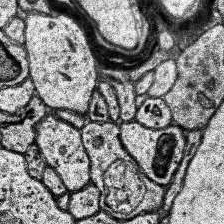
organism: Human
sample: Temporal Lobe